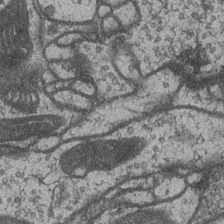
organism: Drosophila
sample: Optic medulla